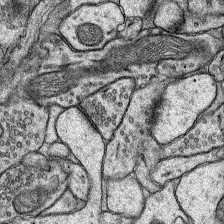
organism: Rat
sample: Hippocampus